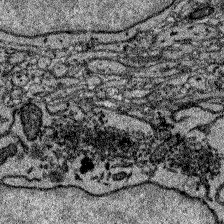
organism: Zebrafish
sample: Larval olfactory bulb